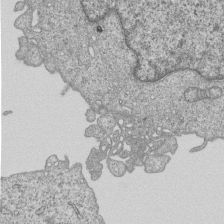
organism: Human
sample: MDA-MB-231 cells